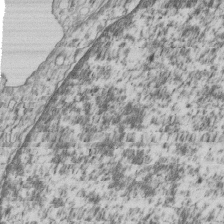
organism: Human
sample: MDA-MB-231 cells